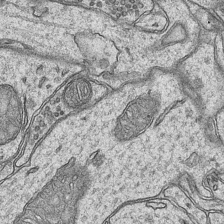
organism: Mouse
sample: CA1 Hippocampus